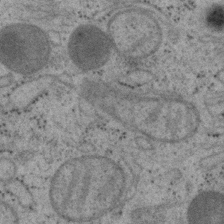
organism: Human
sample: HeLa cells